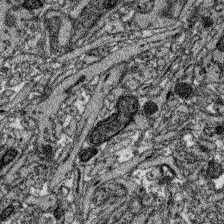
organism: Zebrafish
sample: Larval olfactory bulb